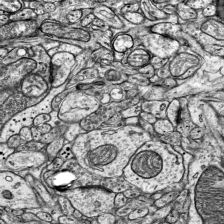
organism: Mouse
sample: Visual Cortex